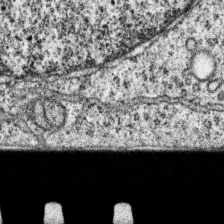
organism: Human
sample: HeLa cells